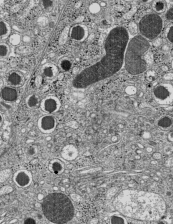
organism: C57BL Mouse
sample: Pancreatic islet